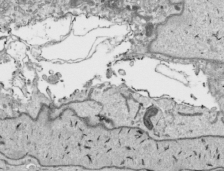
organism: Human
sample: Mitochondria in HCT116 cells